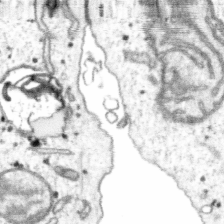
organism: Human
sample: HeLa cells